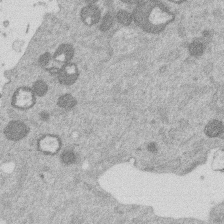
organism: Mouse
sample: Dividing mouse embryo 1 cell stage